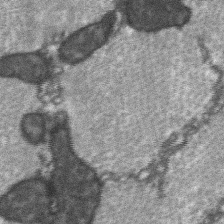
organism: C57BL Mouse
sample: Soleus